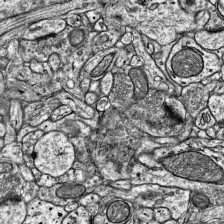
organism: Mouse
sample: Visual Cortex